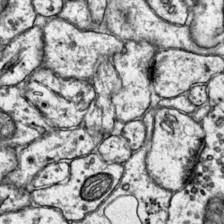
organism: Mouse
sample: Primary visual cortex